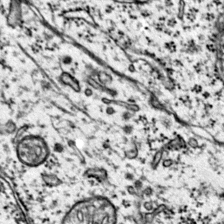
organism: Mouse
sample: Primary visual cortex